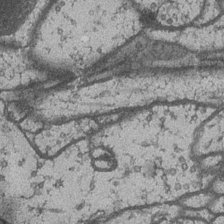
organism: Drosophila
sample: Optic medulla